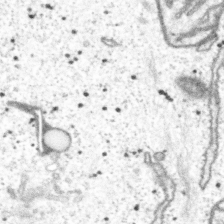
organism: Human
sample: HeLa cells